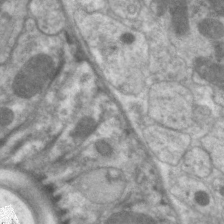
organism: C. elegans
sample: Pharynx